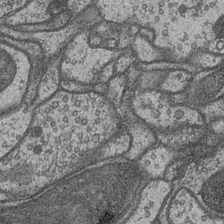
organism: Drosophila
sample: Optic medulla